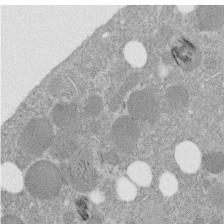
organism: C. elegans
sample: C. elegans embryo early stage